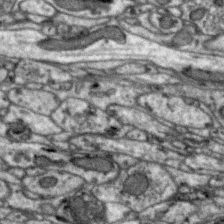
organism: Zebra finch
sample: Brain